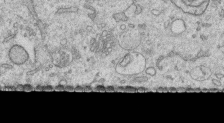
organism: Human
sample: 1205lu cells